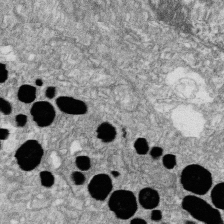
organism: Zebrafish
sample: Cilia; retinal pigment epithelium